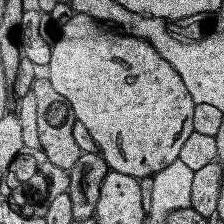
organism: Human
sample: Temporal Lobe